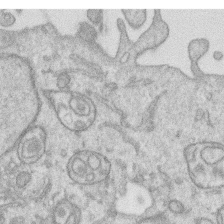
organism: Human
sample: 1205lu cells